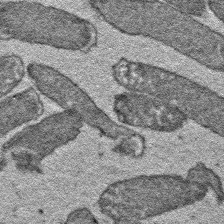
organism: E. coli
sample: E. Coli Bacteria